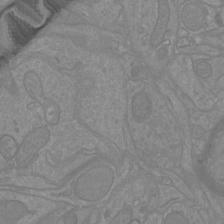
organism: Mouse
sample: Cortical neurons